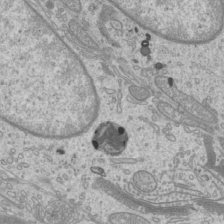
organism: Mouse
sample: Cilia; mouse epididymis